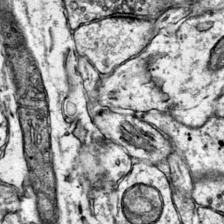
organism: Mouse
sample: Primary visual cortex